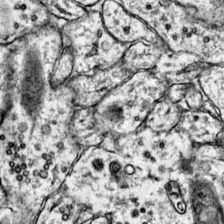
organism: Mouse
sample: Primary visual cortex